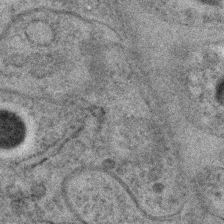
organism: C. elegans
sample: C. elegans embryo